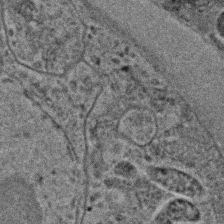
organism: C. elegans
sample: C. elegans embryo